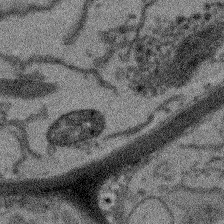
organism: Arabidopsis thaliana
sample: Root tip